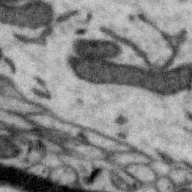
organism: Zebra finch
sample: Brain